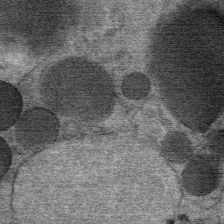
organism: Mouse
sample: Mouse Salivary gland